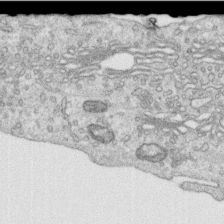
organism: Human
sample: Centriole in RPE cells